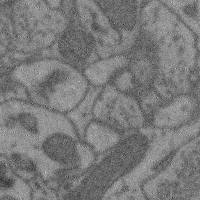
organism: Mouse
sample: Cerebral cortex